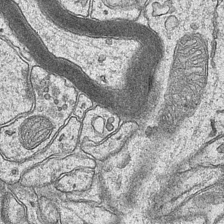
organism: Mouse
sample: CA1 Hippocampus